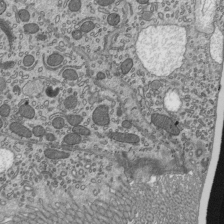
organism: Mouse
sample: Mouse epididymis efferent ductule cilia